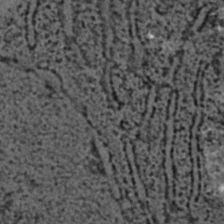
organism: C. elegans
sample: C. elegans embryo